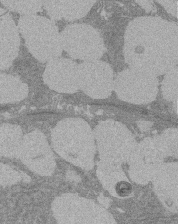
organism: Rat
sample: Salivary granule